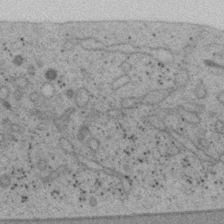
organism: Human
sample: HeLa cells